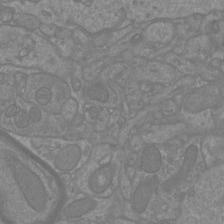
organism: Mouse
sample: Cortical neurons